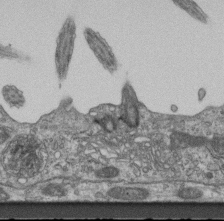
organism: Mouse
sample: Centriole in ependymal cells